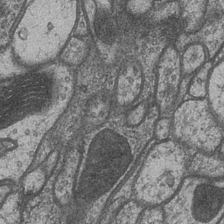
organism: Drosophila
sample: Optic medulla